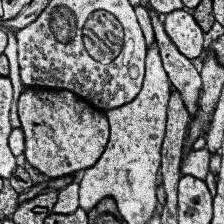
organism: Human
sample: Temporal Lobe